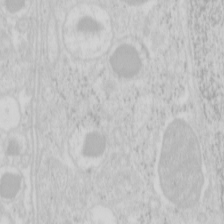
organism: Mouse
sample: Pancreas